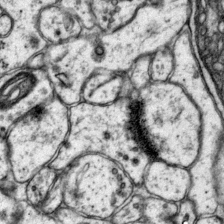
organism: Mouse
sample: Primary visual cortex